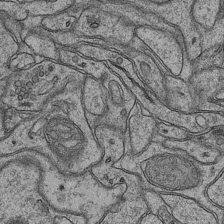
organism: Mouse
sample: CA1 Hippocampus